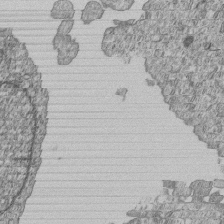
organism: Human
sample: MDA-MB-231 cells